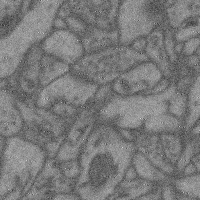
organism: Mouse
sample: Cerebral cortex